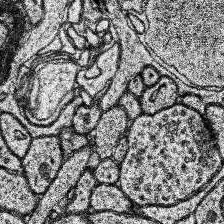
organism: Human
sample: Temporal Lobe